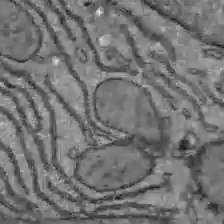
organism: C57BL Mouse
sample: Liver